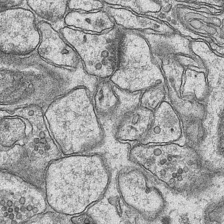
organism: Mouse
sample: CA1 Hippocampus